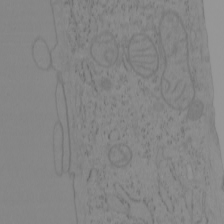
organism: Human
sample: HeLa cells